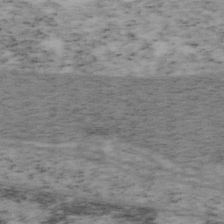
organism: Mouse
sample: OT-I killer T cells with ID8 ovarian cancer cells